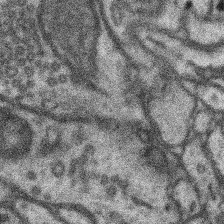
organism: Mouse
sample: Somatosensory cortex neuropil